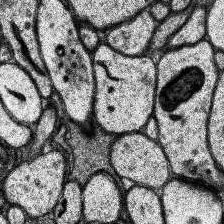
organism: Human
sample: Temporal Lobe